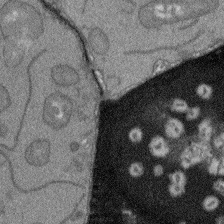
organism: Arabidopsis thaliana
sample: Root tip